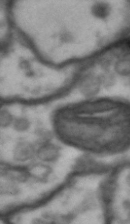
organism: Drosophila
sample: Brain